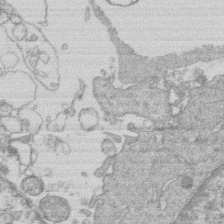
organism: Human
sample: Macrophage cells